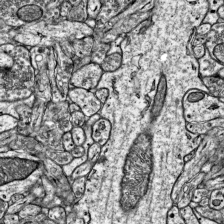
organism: Mouse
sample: Visual Cortex